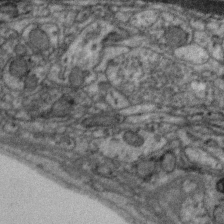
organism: Zebra finch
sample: Brain